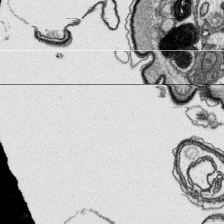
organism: Platynereis dumerilii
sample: Parapodia